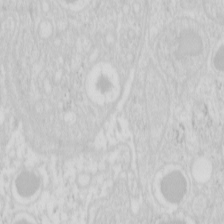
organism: Mouse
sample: Pancreas